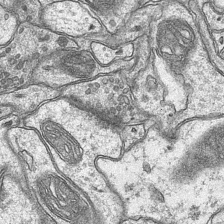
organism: Mouse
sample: CA1 Hippocampus